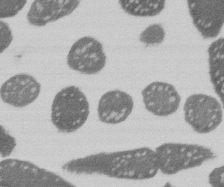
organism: E. coli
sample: Bacterial nucleoid